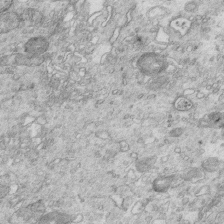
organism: Mouse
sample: Multiciliated cells